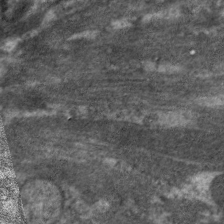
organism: C. elegans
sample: Pharynx